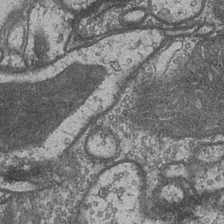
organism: Drosophila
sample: Optic medulla